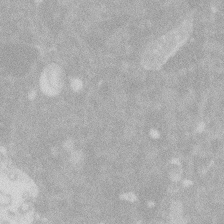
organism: Zebrafish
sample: Macrophage